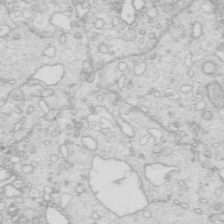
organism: Mouse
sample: Multiciliated cells